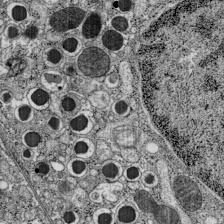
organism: C57BL Mouse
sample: Pancreatic islet